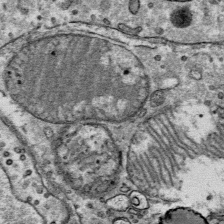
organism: Mouse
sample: Mouse Salivary gland